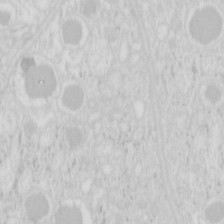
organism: Mouse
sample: Pancreas